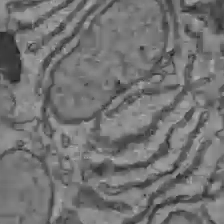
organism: C57BL Mouse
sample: Liver